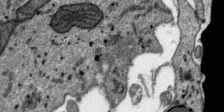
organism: Human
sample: Lung epithelial cells, uninfected (mock) control